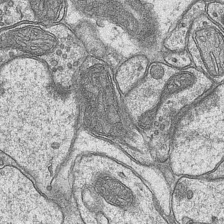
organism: Mouse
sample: CA1 Hippocampus